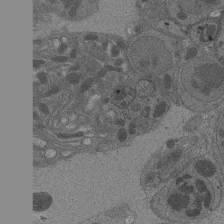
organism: Drosophila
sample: Antenna